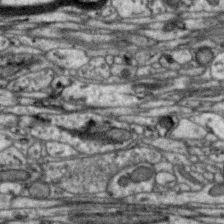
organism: Zebra finch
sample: Brain